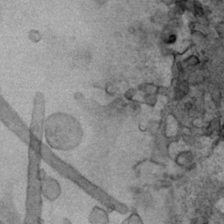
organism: Human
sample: Mitochondria in HCT116 cells